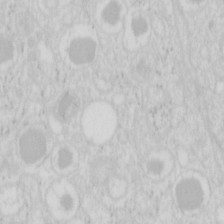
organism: Mouse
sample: Pancreas